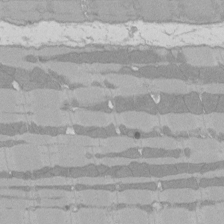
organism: Rat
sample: Left ventricle